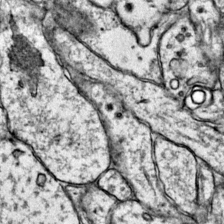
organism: Mouse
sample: Primary visual cortex